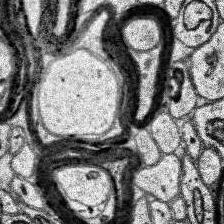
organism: Human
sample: Temporal Lobe